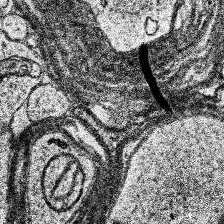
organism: Human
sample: Temporal Lobe